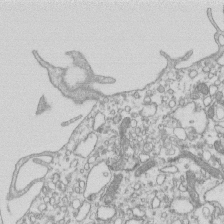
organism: Mouse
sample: Macrophages